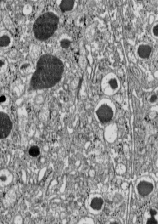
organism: C57BL Mouse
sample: Pancreatic islet